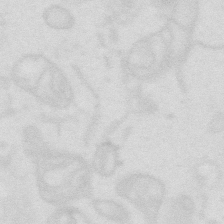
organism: Human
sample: HeLa cells